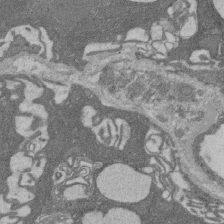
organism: Rat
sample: Salivary granule